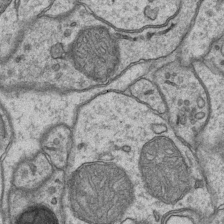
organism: Mouse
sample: CA1 Hippocampus